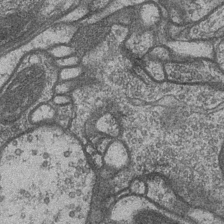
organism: Drosophila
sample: Optic medulla